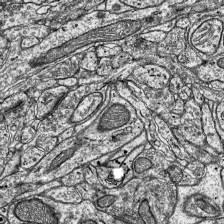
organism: Mouse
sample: Visual Cortex